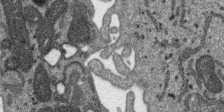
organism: Human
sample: Lung epithelial cells infected with SARS-CoV-2